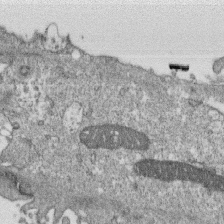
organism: African green monkey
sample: Vero E6 cells infected with SARS-CoV-2